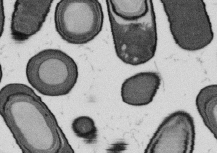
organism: B. subtilis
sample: Bacterial spore